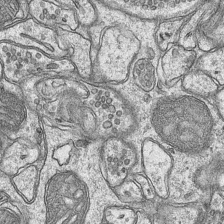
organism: Mouse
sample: CA1 Hippocampus